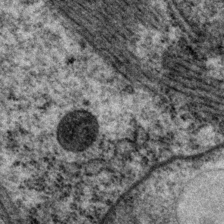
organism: P. pacificus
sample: Pharynx